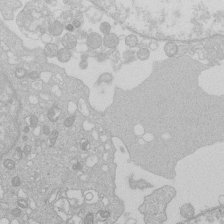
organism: Human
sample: Macrophage cells